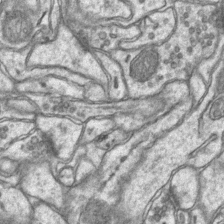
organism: Mouse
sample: CA1 Hippocampus